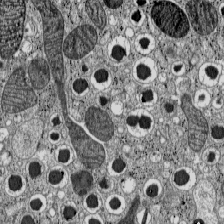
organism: C57BL Mouse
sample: Pancreatic islet